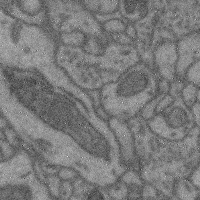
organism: Mouse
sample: Cerebral cortex